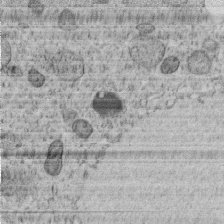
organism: C. elegans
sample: C. elegans embryo early stage